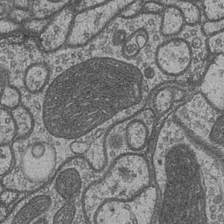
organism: Drosophila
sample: Optic medulla